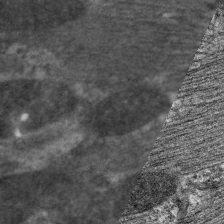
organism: C. elegans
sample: Pharynx